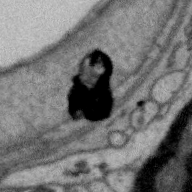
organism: Zebra finch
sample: Brain